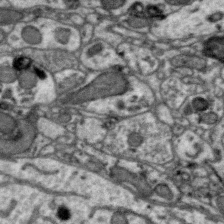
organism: Zebra finch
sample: Brain